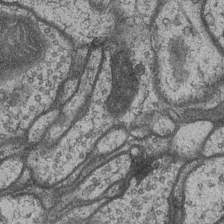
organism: Drosophila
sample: Optic medulla